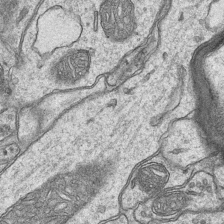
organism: Mouse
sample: CA1 Hippocampus